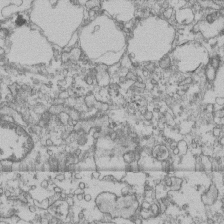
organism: Human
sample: Fibroblast cells